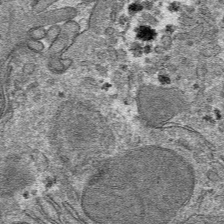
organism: Mouse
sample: Mouse hepatocytes